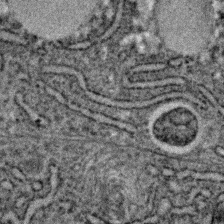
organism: C. elegans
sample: C. elegans embryo